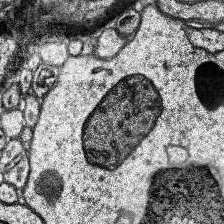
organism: Human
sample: Temporal Lobe